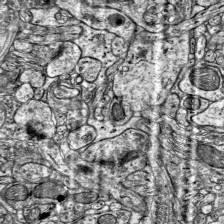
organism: Mouse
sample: Visual Cortex